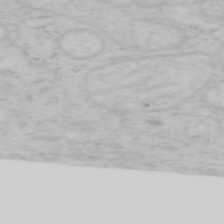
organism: Mouse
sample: OT-I killer T cells with ID8 ovarian cancer cells